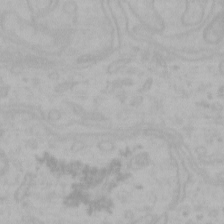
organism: Mouse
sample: Choroid plexus